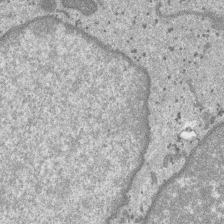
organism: Human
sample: Lung epithelial cells infected with SARS-CoV-2